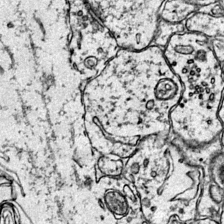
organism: Mouse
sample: Primary visual cortex